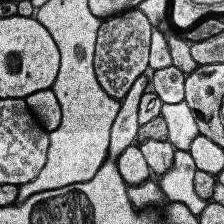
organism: Human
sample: Temporal Lobe